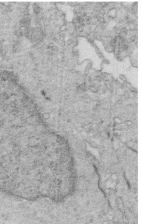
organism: Mouse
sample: Multiciliated cells